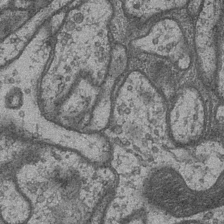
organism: Drosophila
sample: Optic medulla